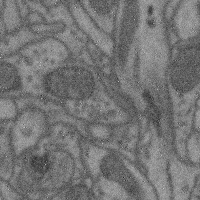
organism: Mouse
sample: Cerebral cortex